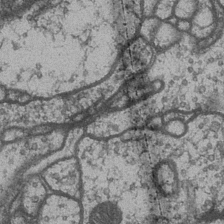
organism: Drosophila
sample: Optic medulla